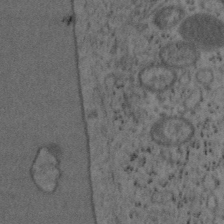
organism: Human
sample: HeLa cells